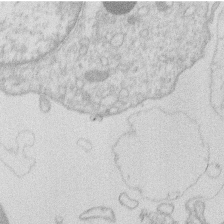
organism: Human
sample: Macrophage cells